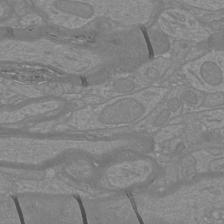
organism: Mouse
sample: Cortical neurons